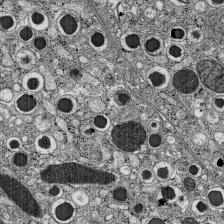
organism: C57BL Mouse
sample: Pancreatic islet